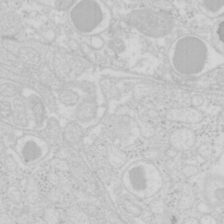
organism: Mouse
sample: Pancreas